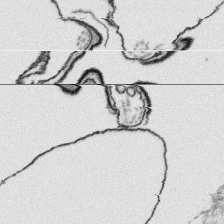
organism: Platynereis dumerilii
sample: Parapodia